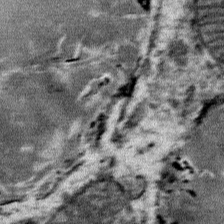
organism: Mouse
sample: Mouse Salivary gland